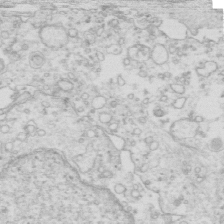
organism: Mouse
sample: Multiciliated cells